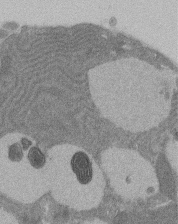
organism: Rat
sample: Salivary granule